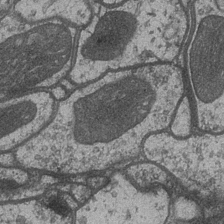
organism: Drosophila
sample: Optic medulla